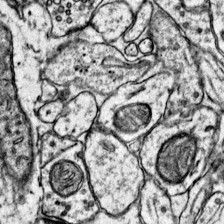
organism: Mouse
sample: Primary visual cortex